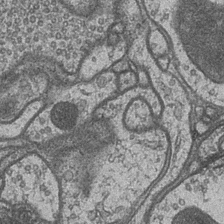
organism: Drosophila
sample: Optic medulla